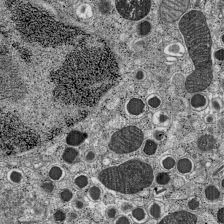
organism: C57BL Mouse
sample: Pancreatic islet